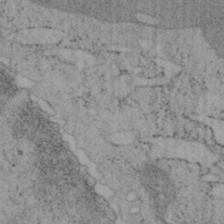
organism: Mouse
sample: OT-I killer T cells with ID8 ovarian cancer cells